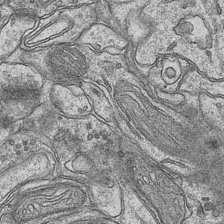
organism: Mouse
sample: CA1 Hippocampus